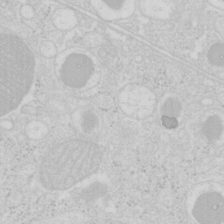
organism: Mouse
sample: Pancreas